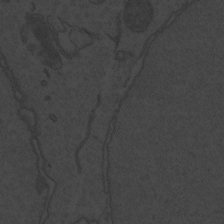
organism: Zebrafish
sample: Macrophage infected with Toxoplasma gondii